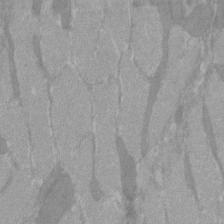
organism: C57BL Mouse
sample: Tibialis anterior muscle cell